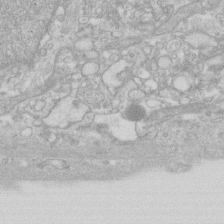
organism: Human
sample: Fibroblast cells